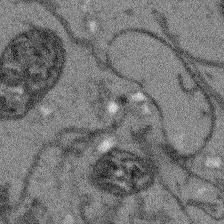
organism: Arabidopsis thaliana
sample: Root tip